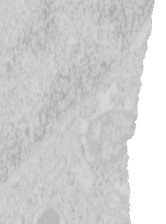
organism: Mouse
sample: Pancreas